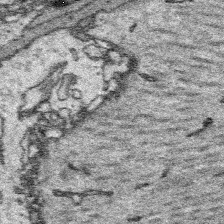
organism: Platynereis dumerilii